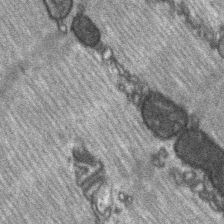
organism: C57BL Mouse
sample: Soleus